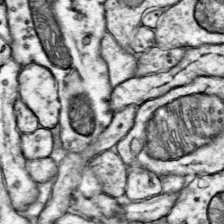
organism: Mouse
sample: Primary visual cortex